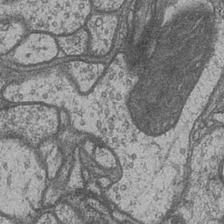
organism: Drosophila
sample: Optic medulla